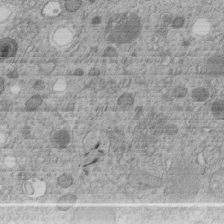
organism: C. elegans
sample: C. elegans embryo early stage